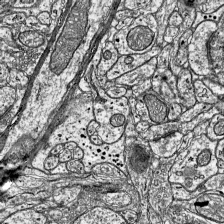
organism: Mouse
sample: Visual Cortex